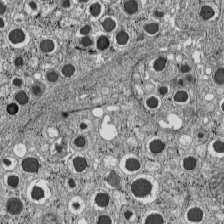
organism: C57BL Mouse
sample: Pancreatic islet